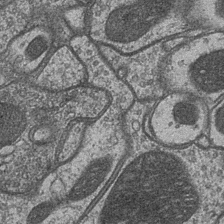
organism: Drosophila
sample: Optic medulla